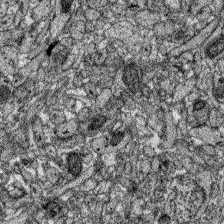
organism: Zebrafish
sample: Larval olfactory bulb